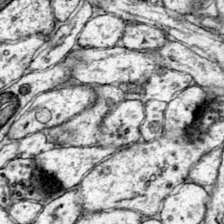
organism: Mouse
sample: Primary visual cortex